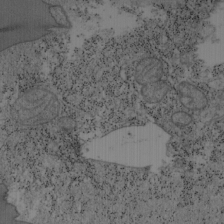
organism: Mouse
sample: OT-I killer T cells with ID8 ovarian cancer cells